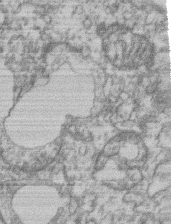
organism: Mouse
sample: T cell stromal cell synapse